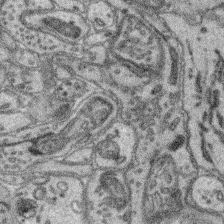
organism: Mouse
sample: Retina